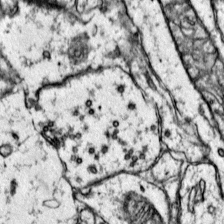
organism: Mouse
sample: Primary visual cortex